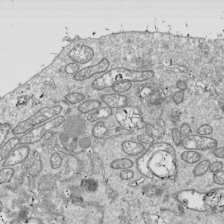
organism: Drosophila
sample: Cell division; meiosis; drosophila spermatocytes